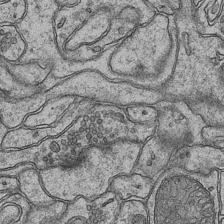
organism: Mouse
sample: CA1 Hippocampus